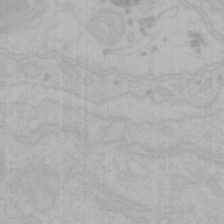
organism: Mouse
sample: Choroid plexus